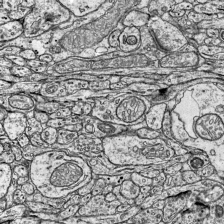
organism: Mouse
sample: Visual Cortex